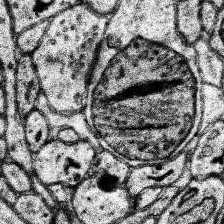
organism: Human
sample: Temporal Lobe